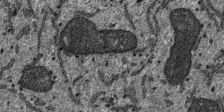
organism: Human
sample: Lung epithelial cells infected with SARS-CoV-2